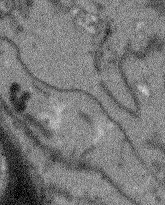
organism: Arabidopsis thaliana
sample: Root tip